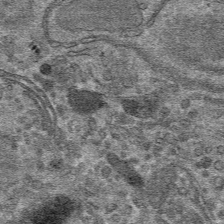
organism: Mouse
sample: Mouse hepatocytes